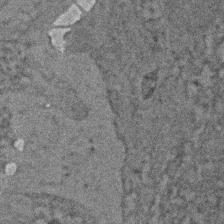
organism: Zebrafish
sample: Zebrafish embryo